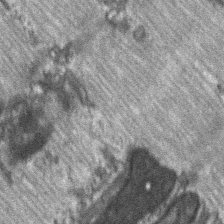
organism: C57BL Mouse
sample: Soleus